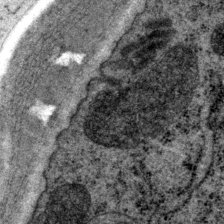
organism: P. pacificus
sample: Pharynx